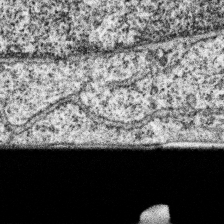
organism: Human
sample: HeLa cells